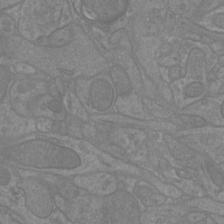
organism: Mouse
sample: Cortical neurons